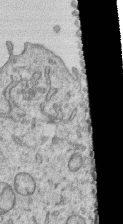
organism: Human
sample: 1205lu cells